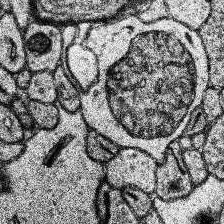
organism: Human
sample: Temporal Lobe